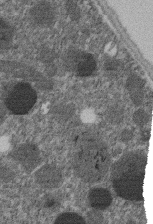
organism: C. elegans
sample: C. elegans embryo early stage